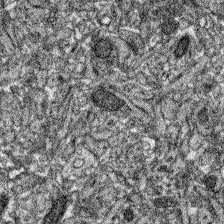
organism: Zebrafish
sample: Larval olfactory bulb